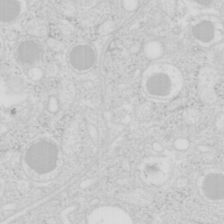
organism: Mouse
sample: Pancreas